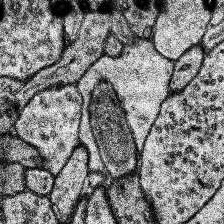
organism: Human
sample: Temporal Lobe